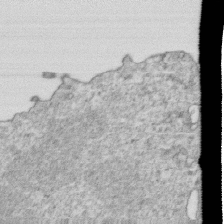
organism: Mouse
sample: Activated OT-1 CD8+ T cells